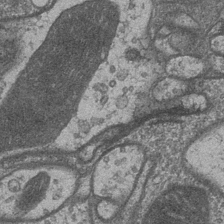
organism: Drosophila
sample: Optic medulla